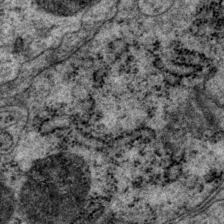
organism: P. pacificus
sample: Pharynx